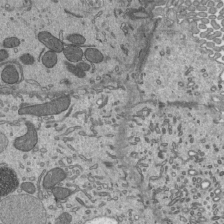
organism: Mouse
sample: Mouse epididymis efferent ductule cilia